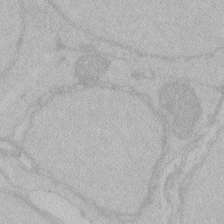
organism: Zebrafish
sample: Macrophage infected with Toxoplasma gondii